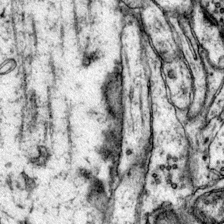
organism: Mouse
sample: Primary visual cortex